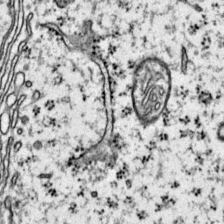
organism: Mouse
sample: Primary visual cortex